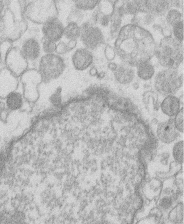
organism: Human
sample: Macrophage cells